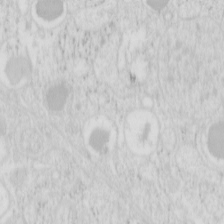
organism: Mouse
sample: Pancreas